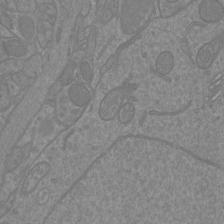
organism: Mouse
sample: Cortical neurons